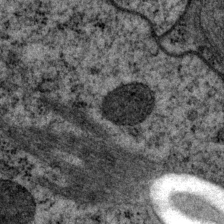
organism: P. pacificus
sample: Pharynx